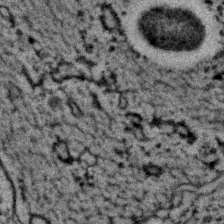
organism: C. elegans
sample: C. elegans embryo